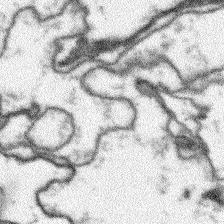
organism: Arabidopsis thaliana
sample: Root tip